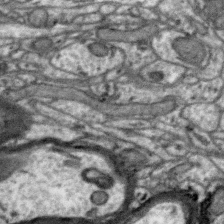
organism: Zebra finch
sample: Brain